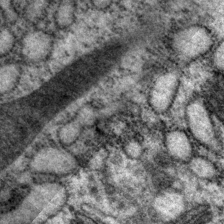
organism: P. pacificus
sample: Pharynx